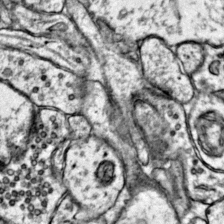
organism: Mouse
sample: Primary visual cortex